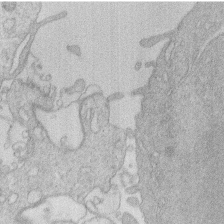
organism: Human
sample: Macrophage cells